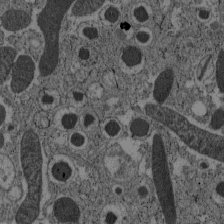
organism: C57BL Mouse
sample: Pancreatic islet